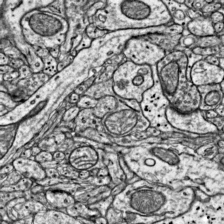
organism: Mouse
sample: Visual Cortex